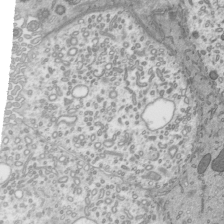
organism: Mouse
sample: Mouse epididymis efferent ductule cilia